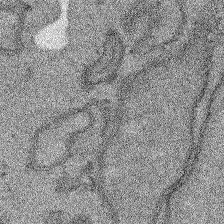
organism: Human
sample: HeLa cells